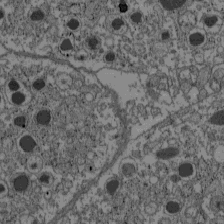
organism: C57BL Mouse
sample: Pancreatic islet